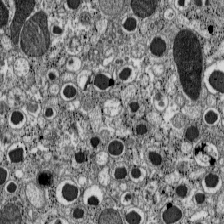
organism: C57BL Mouse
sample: Pancreatic islet